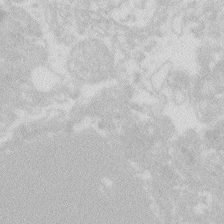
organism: Zebrafish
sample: Macrophage